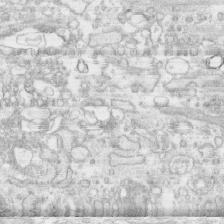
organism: Human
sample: CRL-1474